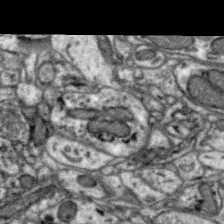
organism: Zebra finch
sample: Brain